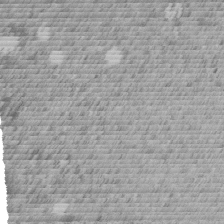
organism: C. elegans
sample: C. elegans embryo early stage